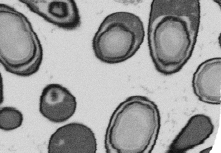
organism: B. subtilis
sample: Bacterial spore